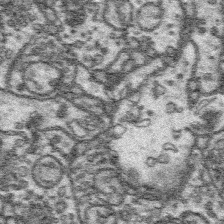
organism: Platynereis dumerilii